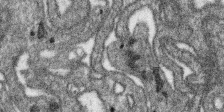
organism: Human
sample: Lung epithelial cells infected with SARS-CoV-2